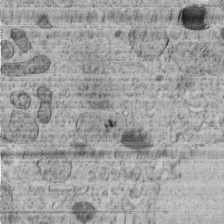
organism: C. elegans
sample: C. elegans embryo early stage